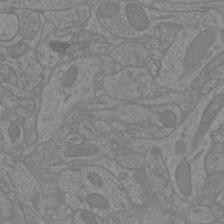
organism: Mouse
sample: Cortical neurons